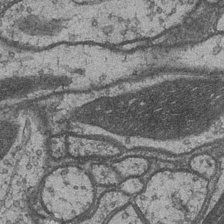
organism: Drosophila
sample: Optic medulla